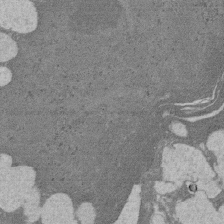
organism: Rat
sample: Salivary granule